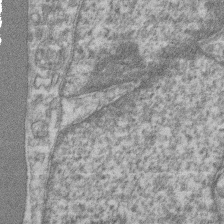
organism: Mouse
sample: T cell stromal cell synapse